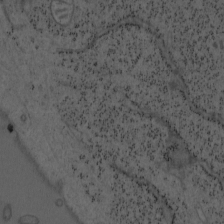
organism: Mouse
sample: OT-I killer T cells with ID8 ovarian cancer cells